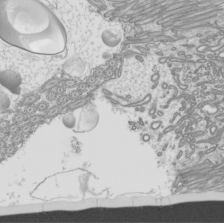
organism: Mouse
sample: Cilia; mouse epididymis